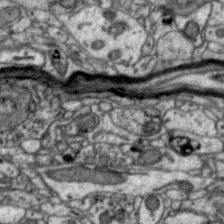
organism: Zebra finch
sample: Brain